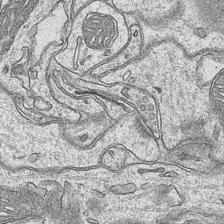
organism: Mouse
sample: CA1 Hippocampus